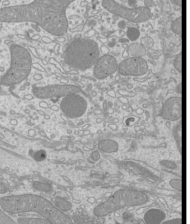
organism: Mouse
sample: Cilia; mouse epididymis